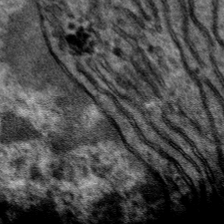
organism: Mouse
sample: Mouse hepatocytes